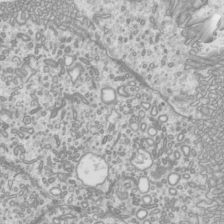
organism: Mouse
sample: Cilia; mouse epididymis